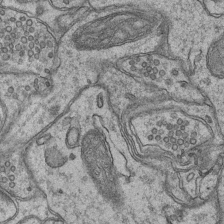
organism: Mouse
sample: CA1 Hippocampus